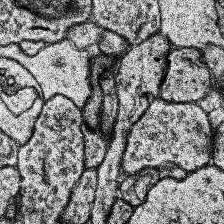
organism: Human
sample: Temporal Lobe